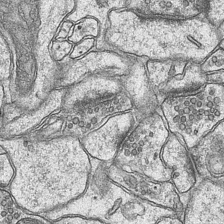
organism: Mouse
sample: CA1 Hippocampus